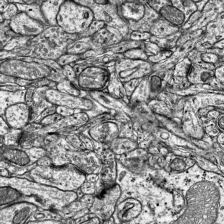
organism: Mouse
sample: Visual Cortex